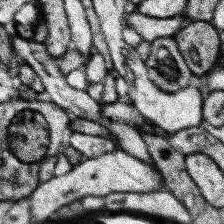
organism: Human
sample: Temporal Lobe